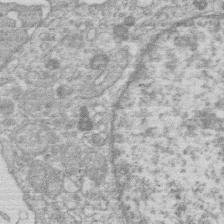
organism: Human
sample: Macrophage cells